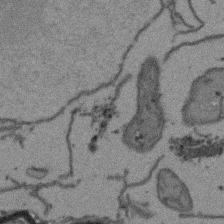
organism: Arabidopsis thaliana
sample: Root tip